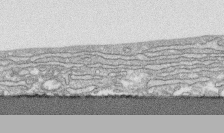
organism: Human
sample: CRL-1474